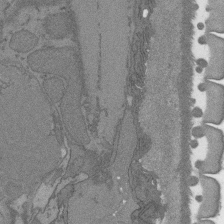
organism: C. elegans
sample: AFD neurons C. elegans